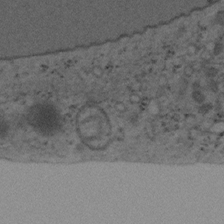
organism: Human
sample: HeLa cells